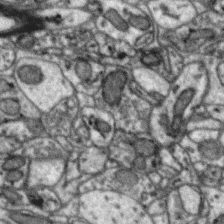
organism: Zebra finch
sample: Brain